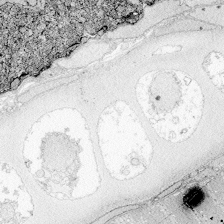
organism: Zebrafish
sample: Whole-Brain